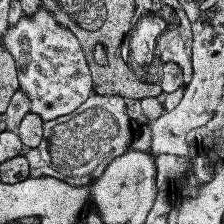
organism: Human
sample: Temporal Lobe